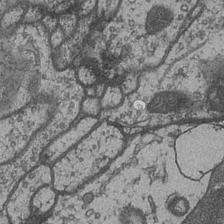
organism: Drosophila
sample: Optic medulla